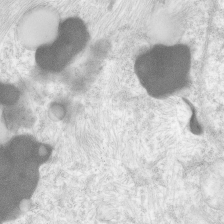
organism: Human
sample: Neocortex